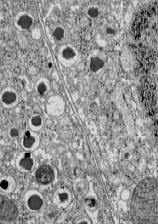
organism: C57BL Mouse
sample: Pancreatic islet